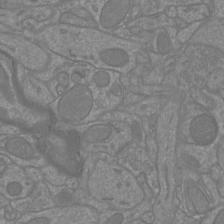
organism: Mouse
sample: Cortical neurons